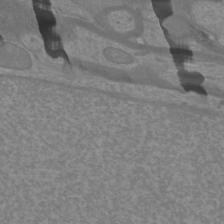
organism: Mouse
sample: Cortical neurons